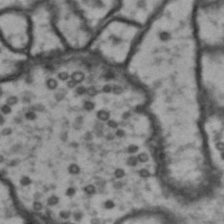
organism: Drosophila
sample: Brain